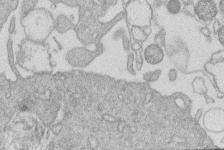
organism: Human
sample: Macrophage cells